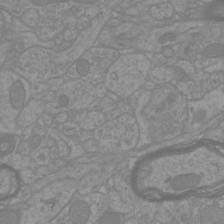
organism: Mouse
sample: Cortical neurons